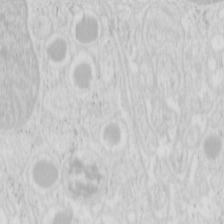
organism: Mouse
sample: Pancreas